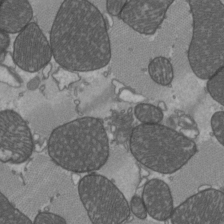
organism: C57BL Mouse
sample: Heart